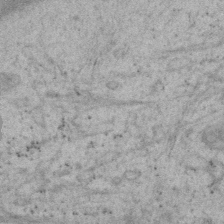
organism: Human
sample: HeLa cells